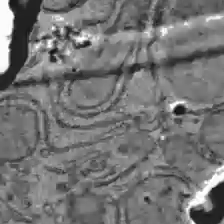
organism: C57BL Mouse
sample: Liver